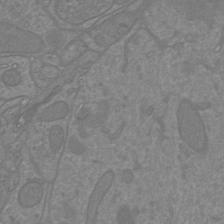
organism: Mouse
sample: Cortical neurons